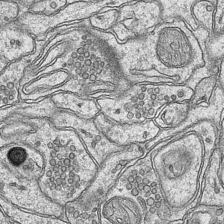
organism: Mouse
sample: CA1 Hippocampus